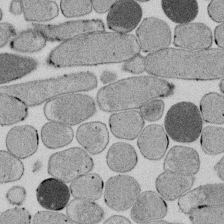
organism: E. coli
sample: Bacterial nucleoid